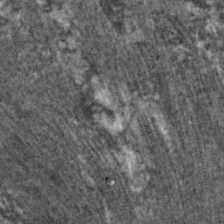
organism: C. elegans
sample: Pharynx